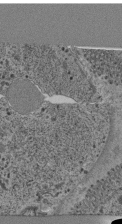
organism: C. elegans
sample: C. elegans pharynx